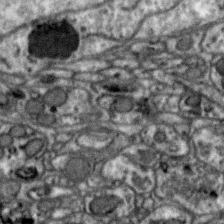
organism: Zebra finch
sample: Brain